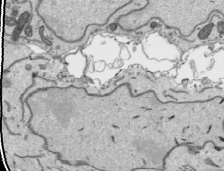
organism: Human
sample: Mitochondria in HCT116 cells